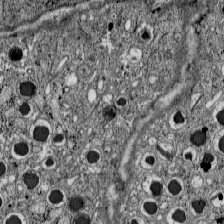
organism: C57BL Mouse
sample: Pancreatic islet